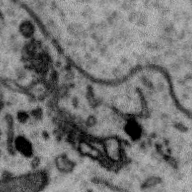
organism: Zebra finch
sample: Brain